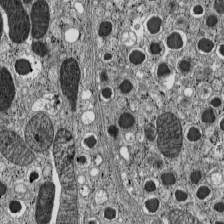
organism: C57BL Mouse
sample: Pancreatic islet